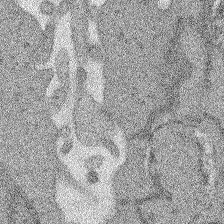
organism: Human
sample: HeLa cells